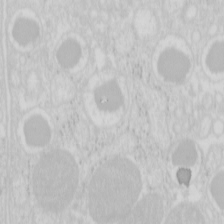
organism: Mouse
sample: Pancreas